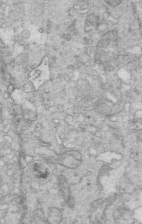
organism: Mouse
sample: Multiciliated cells